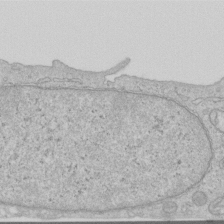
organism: Human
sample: Centriole in RPE cells